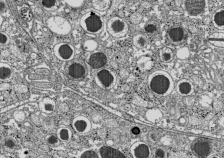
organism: C57BL Mouse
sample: Pancreatic islet